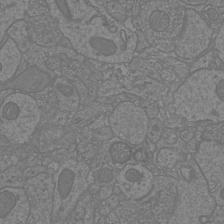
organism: Mouse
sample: Cortical neurons